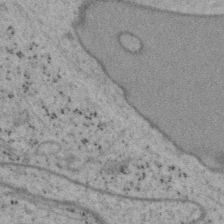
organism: Human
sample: HeLa cells